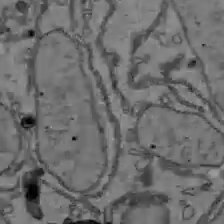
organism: C57BL Mouse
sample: Liver